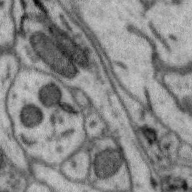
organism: Zebra finch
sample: Brain